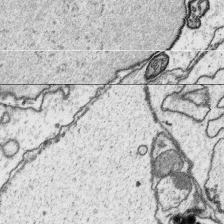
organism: Platynereis dumerilii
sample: Parapodia